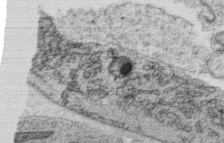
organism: C. elegans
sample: C. elegans oocyte; sperm cells